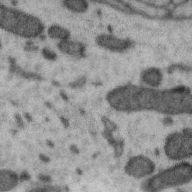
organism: Zebra finch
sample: Brain